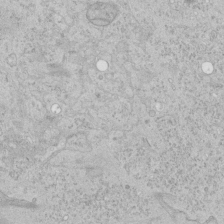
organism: Human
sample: Mitochondria in HCT116 cells